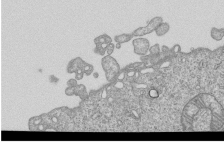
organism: Human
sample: MDA-MB-231 cells